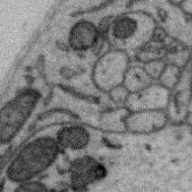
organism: Zebra finch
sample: Brain